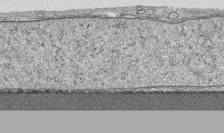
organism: Human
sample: CRL-1474